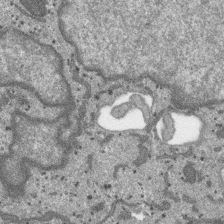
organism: Human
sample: Lung epithelial cells infected with SARS-CoV-2